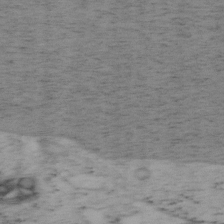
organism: Mouse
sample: OT-I killer T cells with ID8 ovarian cancer cells